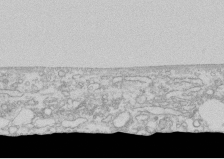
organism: Human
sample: CRL-1474